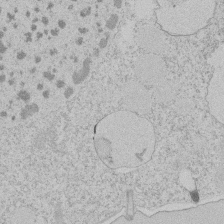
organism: Tetrahymena